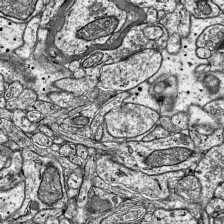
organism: Mouse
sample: Visual Cortex